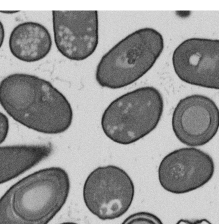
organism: B. subtilis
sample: Bacterial spore